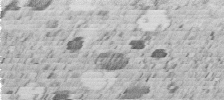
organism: C. elegans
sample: C. elegans embryo early stage